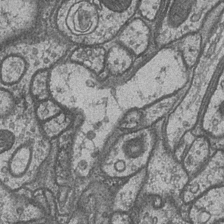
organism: Drosophila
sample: Optic medulla